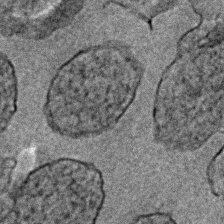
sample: Trachea